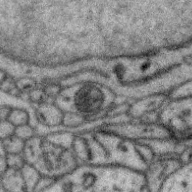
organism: Zebra finch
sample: Brain